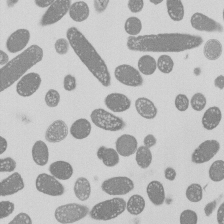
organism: E. coli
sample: Bacterial nucleoid